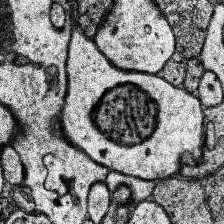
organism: Human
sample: Temporal Lobe